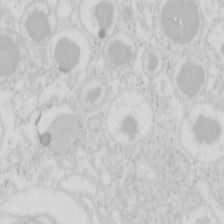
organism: Mouse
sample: Pancreas